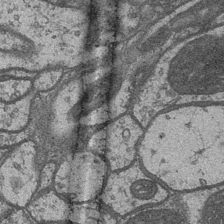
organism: Drosophila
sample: Optic medulla